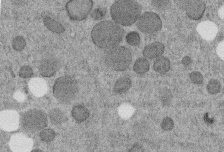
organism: C. elegans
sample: C. elegans embryo early stage